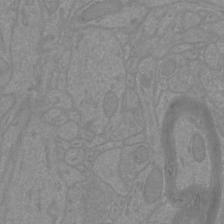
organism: Mouse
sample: Cortical neurons